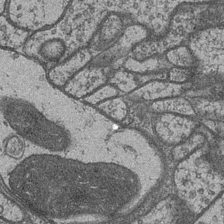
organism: Drosophila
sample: Optic medulla